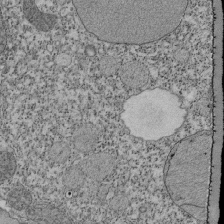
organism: Tetrahymena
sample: Cilia in tetrahymena